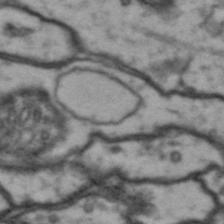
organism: Drosophila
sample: Brain